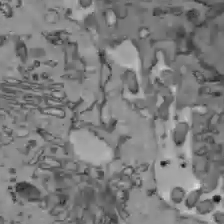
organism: C57BL Mouse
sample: Liver